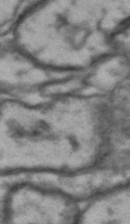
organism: Drosophila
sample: Brain